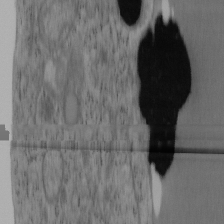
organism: Human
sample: HeLa cells